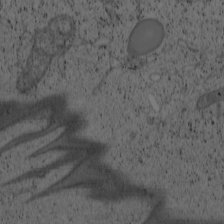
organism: African green monkey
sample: COS-7 cells